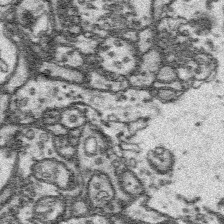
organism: Platynereis dumerilii